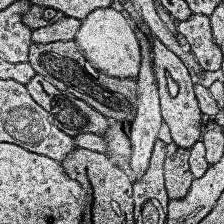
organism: Human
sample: Temporal Lobe